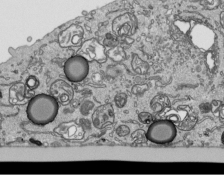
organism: Human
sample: Mitochondria in HCT116 cells